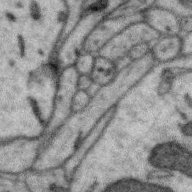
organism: Zebra finch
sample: Brain